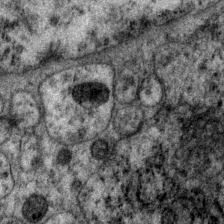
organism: P. pacificus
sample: Pharynx